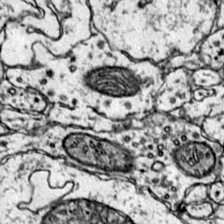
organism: Mouse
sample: Primary visual cortex